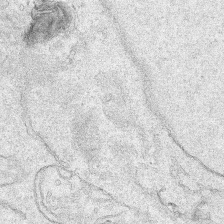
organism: Human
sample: Mitochondria in HCT116 cells